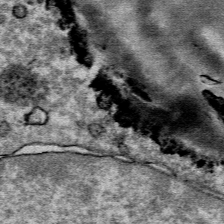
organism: Mouse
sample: Mouse Salivary gland